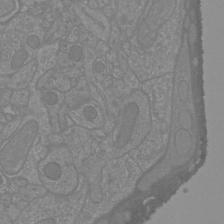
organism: Mouse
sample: Cortical neurons